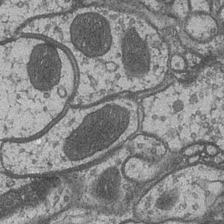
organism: Drosophila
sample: Optic medulla